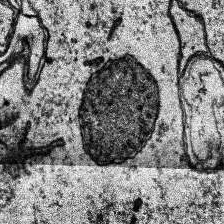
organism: Human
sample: Temporal Lobe